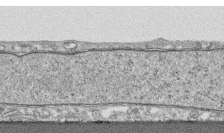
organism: Human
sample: CRL-1474